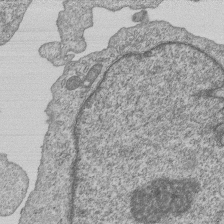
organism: Human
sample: MDA-MB-231 cells